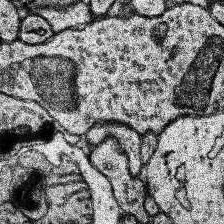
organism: Human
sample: Temporal Lobe